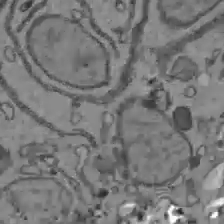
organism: C57BL Mouse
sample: Liver